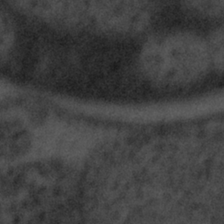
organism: Tuwongella immobilis